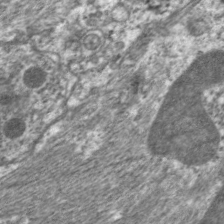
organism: C. elegans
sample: Pharynx